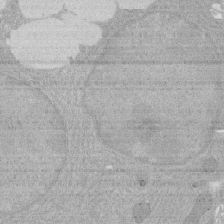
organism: Rat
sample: Salivary granule